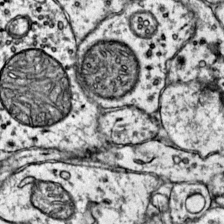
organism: Mouse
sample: Primary visual cortex